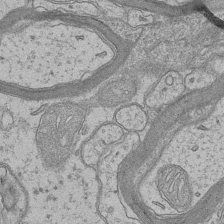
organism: Mouse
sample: CA1 Hippocampus